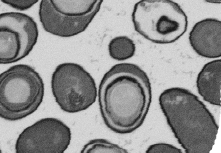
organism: B. subtilis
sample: Bacterial spore